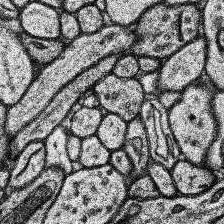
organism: Human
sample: Temporal Lobe